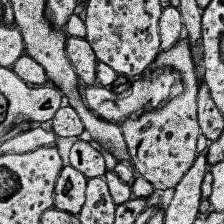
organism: Human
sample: Temporal Lobe